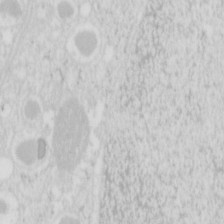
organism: Mouse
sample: Pancreas